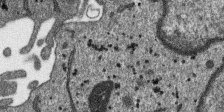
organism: Human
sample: Lung epithelial cells infected with SARS-CoV-2